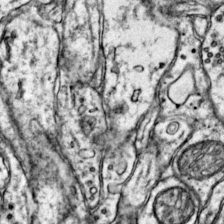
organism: Mouse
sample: Primary visual cortex